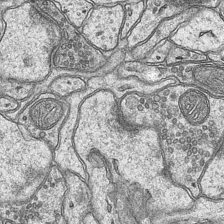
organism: Mouse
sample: CA1 Hippocampus